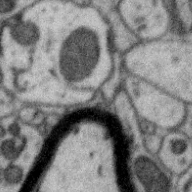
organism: Zebra finch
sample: Brain